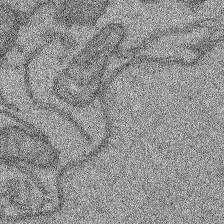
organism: Human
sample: HeLa cells